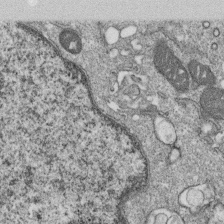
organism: African green monkey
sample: Vero E6 cells infected with SARS-CoV-2